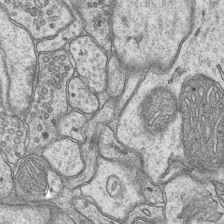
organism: Mouse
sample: CA1 Hippocampus